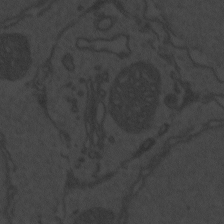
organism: Zebrafish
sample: Macrophage infected with Toxoplasma gondii